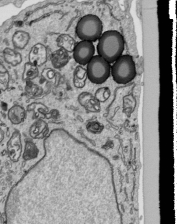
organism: Human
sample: Mitochondria in HCT116 cells